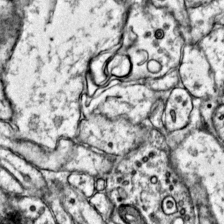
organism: Mouse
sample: Primary visual cortex